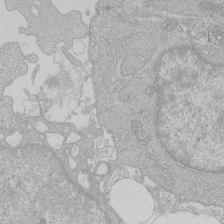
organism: Human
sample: Macrophage cells